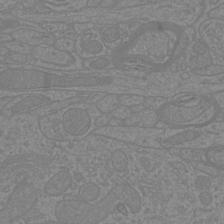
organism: Mouse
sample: Cortical neurons